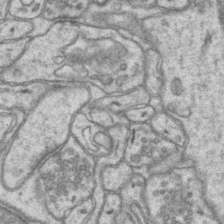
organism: Mouse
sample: CA1 Hippocampus